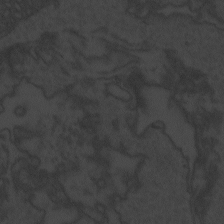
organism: Zebrafish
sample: Macrophage infected with Toxoplasma gondii